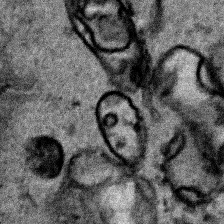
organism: Human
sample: Mitochondria in HCT116 cells